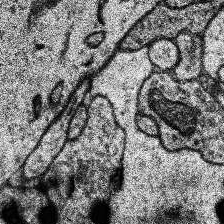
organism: Human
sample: Temporal Lobe